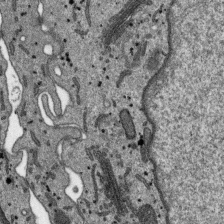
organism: Human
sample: Lung epithelial cells, uninfected (mock) control